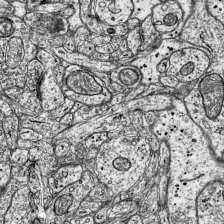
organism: Mouse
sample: Visual Cortex